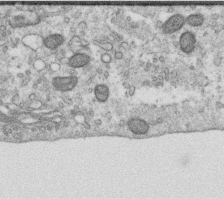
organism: Human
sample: Centriole in RPE cells